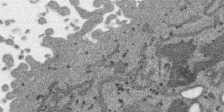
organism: Human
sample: Lung epithelial cells infected with SARS-CoV-2